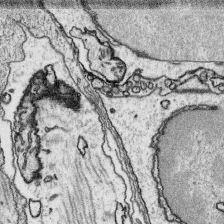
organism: Platynereis dumerilii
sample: Parapodia